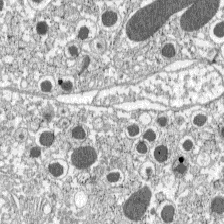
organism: C57BL Mouse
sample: Pancreatic islet